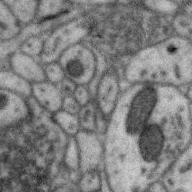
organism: Zebra finch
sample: Brain